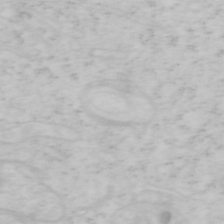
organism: Mouse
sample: OT-I killer T cells with ID8 ovarian cancer cells